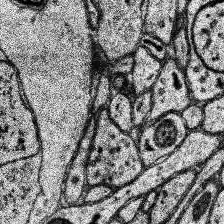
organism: Human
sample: Temporal Lobe